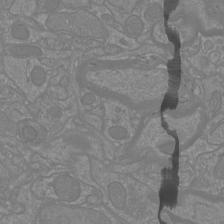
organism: Mouse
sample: Cortical neurons